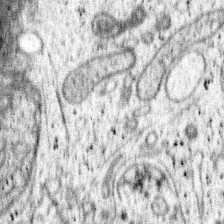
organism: Human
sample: HeLa cells